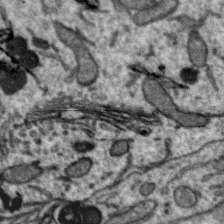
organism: Zebra finch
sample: Brain